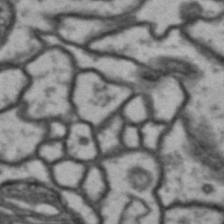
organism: Drosophila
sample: Brain